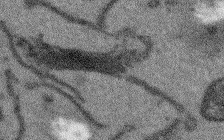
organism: Arabidopsis thaliana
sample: Root tip